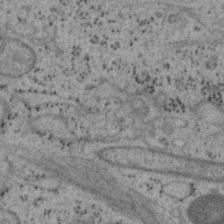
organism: Human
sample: HeLa cells